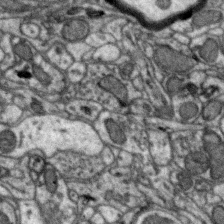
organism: Zebra finch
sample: Brain